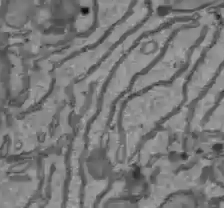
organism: C57BL Mouse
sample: Liver